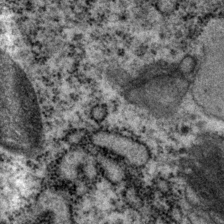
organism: P. pacificus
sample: Pharynx